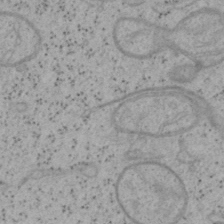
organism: Human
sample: HeLa cells